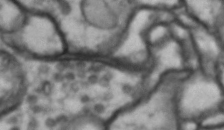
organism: Drosophila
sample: Brain